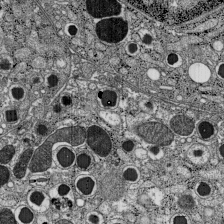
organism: C57BL Mouse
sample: Pancreatic islet